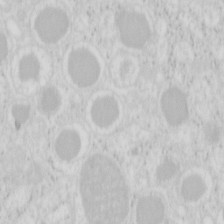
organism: Mouse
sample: Pancreas